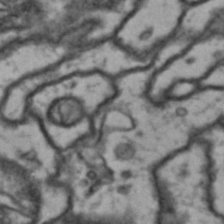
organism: Drosophila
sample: Brain